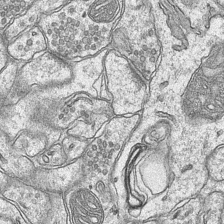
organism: Mouse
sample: CA1 Hippocampus